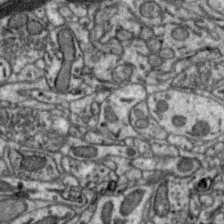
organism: Zebra finch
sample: Brain